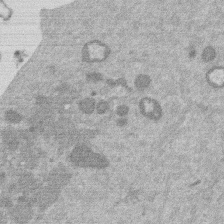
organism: Mouse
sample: Dividing mouse embryo 1 cell stage